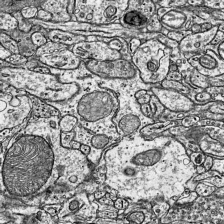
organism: Mouse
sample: Visual Cortex